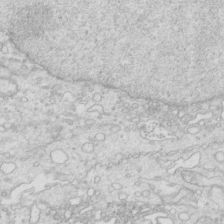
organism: Mouse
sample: Multiciliated cells